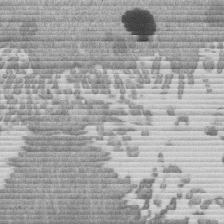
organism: Mouse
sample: Dividing mouse embryo 1 cell stage